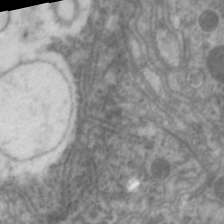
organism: C. elegans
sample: Pharynx